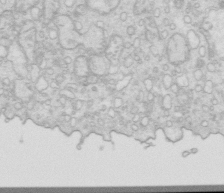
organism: Mouse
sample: Multiciliated cells